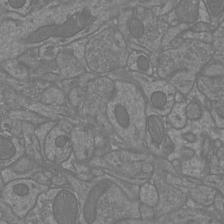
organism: Mouse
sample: Cortical neurons